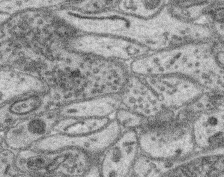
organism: Mouse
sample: Retina